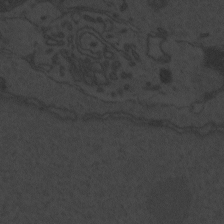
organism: Zebrafish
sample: Macrophage infected with Toxoplasma gondii